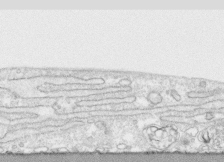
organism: Human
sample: CRL-1474